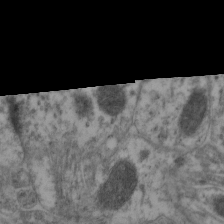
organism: Mouse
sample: Neocortex